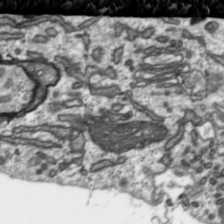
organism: Toxoplasma gondii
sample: Parasites in a vacuole inside a host cell